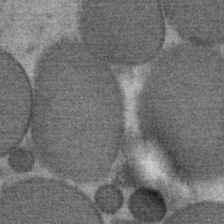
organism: Mouse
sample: Mouse Salivary gland